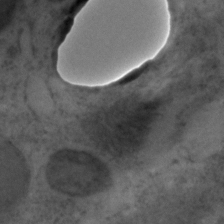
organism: C. elegans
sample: C. elegans embryo